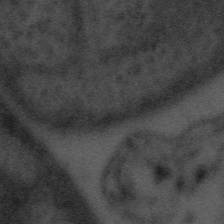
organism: Tuwongella immobilis